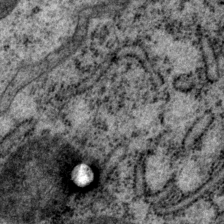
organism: P. pacificus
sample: Pharynx